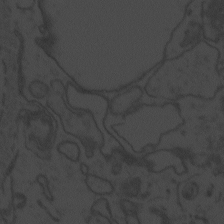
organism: Zebrafish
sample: Macrophage infected with Toxoplasma gondii